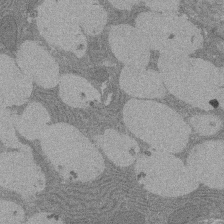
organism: Rat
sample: Salivary granule